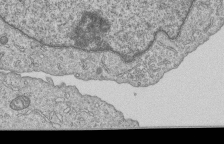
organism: Human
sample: MDA-MB-231 cells